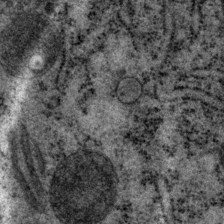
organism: P. pacificus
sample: Pharynx